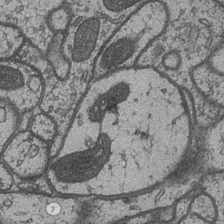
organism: Drosophila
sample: Optic medulla